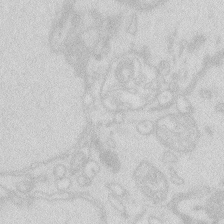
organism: Zebrafish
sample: Macrophage